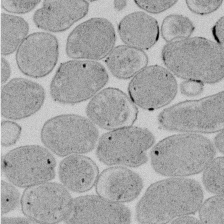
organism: E. coli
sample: Bacterial nucleoid